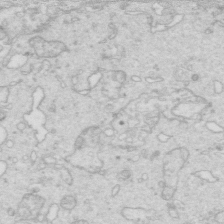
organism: Mouse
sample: Multiciliated cells